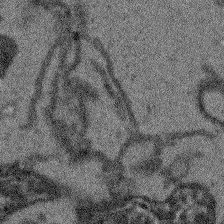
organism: Arabidopsis thaliana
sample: Root tip